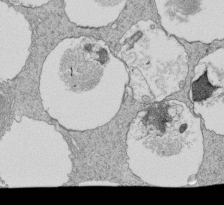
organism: Tetrahymena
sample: Cilia in tetrahymena